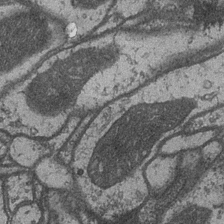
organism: Drosophila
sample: Optic medulla